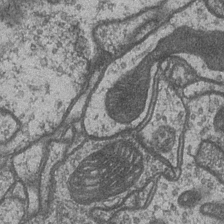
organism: Drosophila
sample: Optic medulla